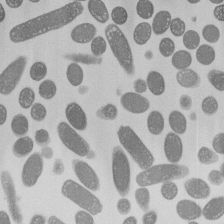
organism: E. coli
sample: Bacterial nucleoid